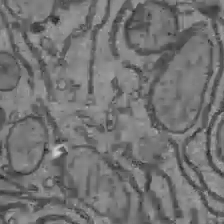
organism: C57BL Mouse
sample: Liver